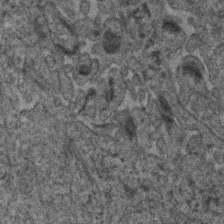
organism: Human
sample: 1205lu cells